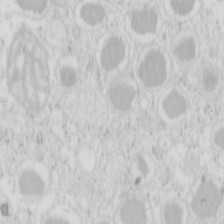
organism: Mouse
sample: Pancreas